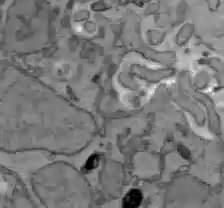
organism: C57BL Mouse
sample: Liver